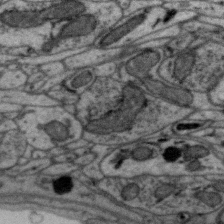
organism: Zebra finch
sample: Brain